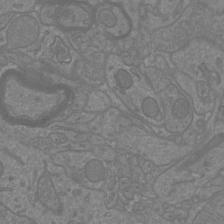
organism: Mouse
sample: Cortical neurons